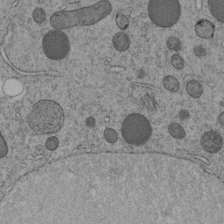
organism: C. elegans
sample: C. elegans embryo early stage